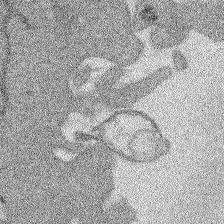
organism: Human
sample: HeLa cells